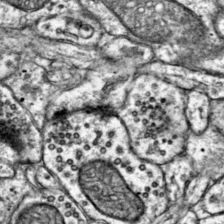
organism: Mouse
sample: Primary visual cortex